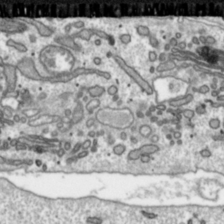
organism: Toxoplasma gondii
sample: Parasites in a vacuole inside a host cell